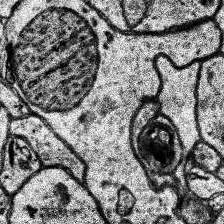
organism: Human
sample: Temporal Lobe